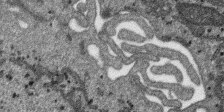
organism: Human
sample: Lung epithelial cells infected with SARS-CoV-2